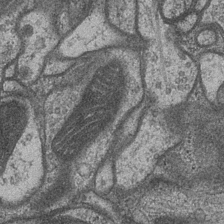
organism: Drosophila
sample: Optic medulla